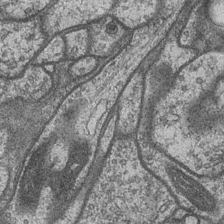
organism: Drosophila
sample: Optic medulla